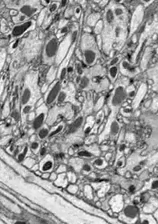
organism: Drosophila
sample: Optic lobe